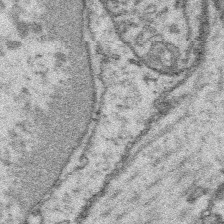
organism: Platynereis dumerilii